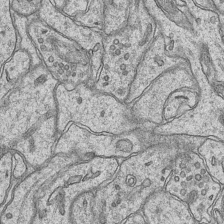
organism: Mouse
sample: CA1 Hippocampus